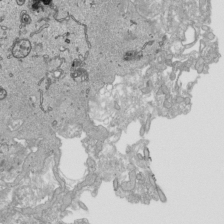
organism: Human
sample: Mitochondria in HCT116 cells